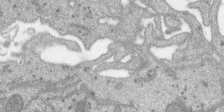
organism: Human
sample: Lung epithelial cells infected with SARS-CoV-2